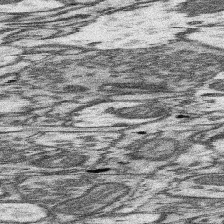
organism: Mouse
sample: Somatosensory cortex neuropil